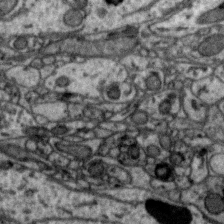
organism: Zebra finch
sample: Brain